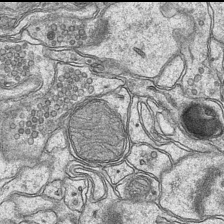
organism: Mouse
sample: CA1 Hippocampus